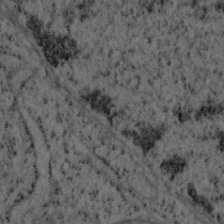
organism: Human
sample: HeLa cells